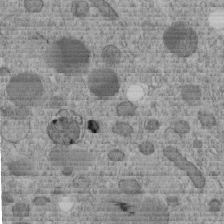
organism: C. elegans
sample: C. elegans embryo early stage